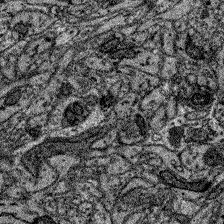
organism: Zebrafish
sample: Larval olfactory bulb